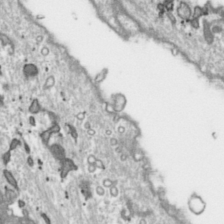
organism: Toxoplasma gondii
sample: Parasites in a vacuole inside a host cell